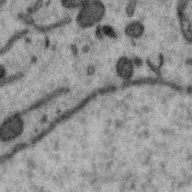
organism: Zebra finch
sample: Brain